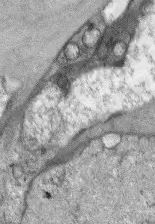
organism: Mouse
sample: Corneal nerves